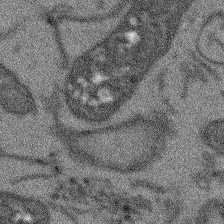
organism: Arabidopsis thaliana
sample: Root tip